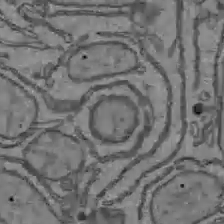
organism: C57BL Mouse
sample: Liver